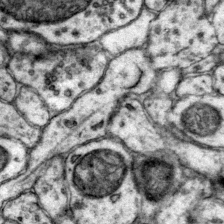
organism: Mouse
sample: Primary visual cortex